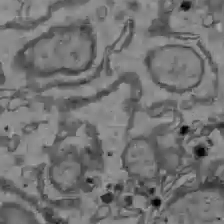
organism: C57BL Mouse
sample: Liver